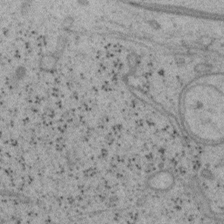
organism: Human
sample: HeLa cells